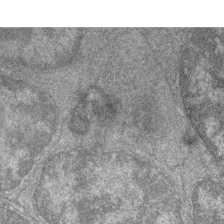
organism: Zebrafish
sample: Cilia; retinal pigment epithelium